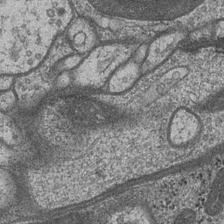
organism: Drosophila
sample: Optic medulla